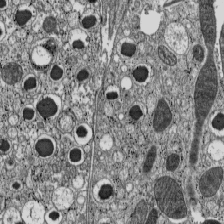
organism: C57BL Mouse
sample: Pancreatic islet